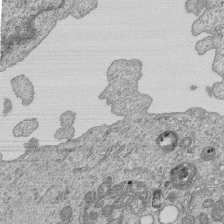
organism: Human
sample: MDA-MB-231 cells